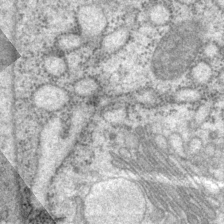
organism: P. pacificus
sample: Pharynx